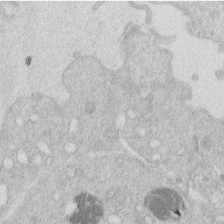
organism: Human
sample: Macrophage cells